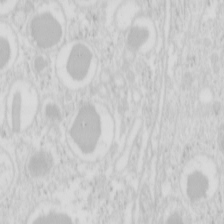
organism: Mouse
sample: Pancreas